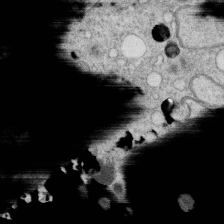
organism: C. elegans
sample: C. elegans oocyte; sperm cells